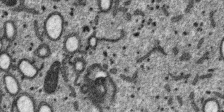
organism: Human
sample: Lung epithelial cells infected with SARS-CoV-2